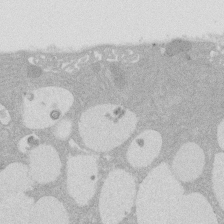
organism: Rat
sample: Salivary granule